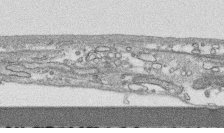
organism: Human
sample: CRL-1474